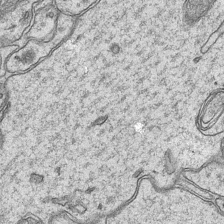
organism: Mouse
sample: CA1 Hippocampus